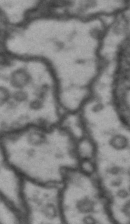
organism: Drosophila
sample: Brain